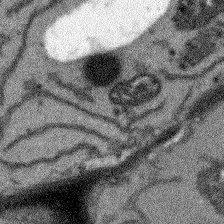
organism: Arabidopsis thaliana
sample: Root tip